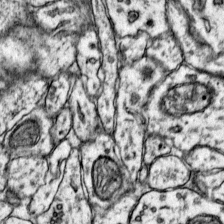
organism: Mouse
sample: Primary visual cortex